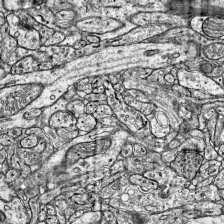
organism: Mouse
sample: Visual Cortex